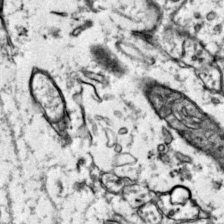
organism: Mouse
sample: Primary visual cortex